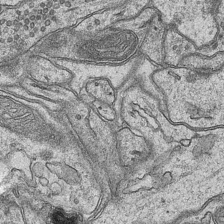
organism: Mouse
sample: CA1 Hippocampus